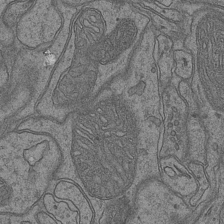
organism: Mouse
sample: CA1 Hippocampus